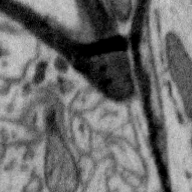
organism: Zebra finch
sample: Brain